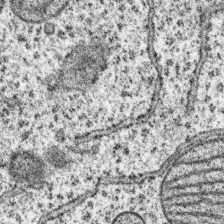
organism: Human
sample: HeLa cells